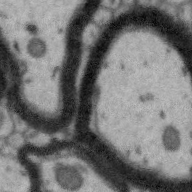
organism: Zebra finch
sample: Brain